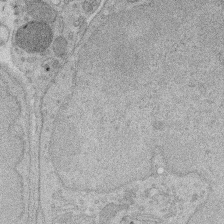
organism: Rat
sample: Salivary granule